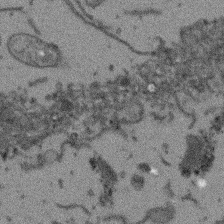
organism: Arabidopsis thaliana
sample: Root tip